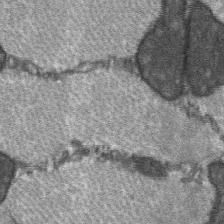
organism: C57BL Mouse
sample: Soleus